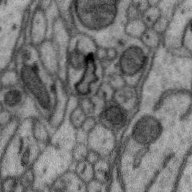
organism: Zebra finch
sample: Brain